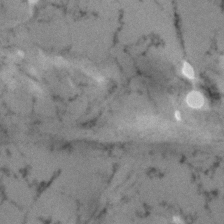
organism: Human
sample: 1205lu cells